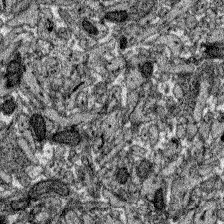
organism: Zebrafish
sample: Larval olfactory bulb